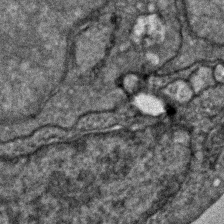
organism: Zebrafish